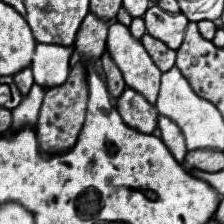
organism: Human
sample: Temporal Lobe